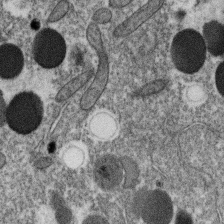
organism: C. elegans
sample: C. elegans oocyte; sperm cells